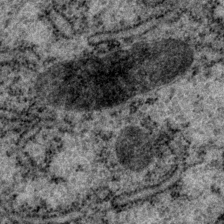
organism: P. pacificus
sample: Pharynx